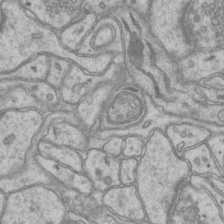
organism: Mouse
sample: CA1 Hippocampus